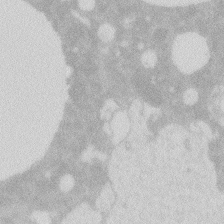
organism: Zebrafish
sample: Macrophage